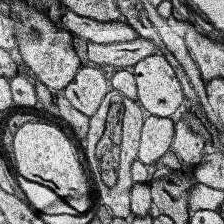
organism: Human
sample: Temporal Lobe